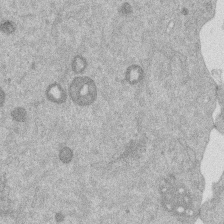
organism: Mouse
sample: Dividing mouse embryo 1 cell stage